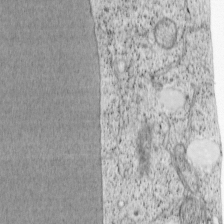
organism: African green monkey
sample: COS-7 cells